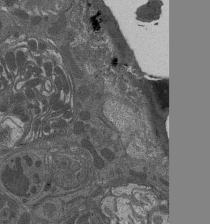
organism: Drosophila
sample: Antenna